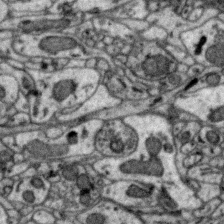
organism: Zebra finch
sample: Brain